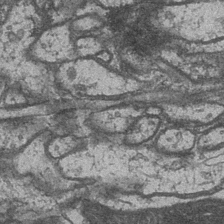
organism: Drosophila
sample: Optic medulla